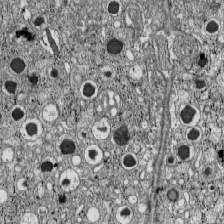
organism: C57BL Mouse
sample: Pancreatic islet